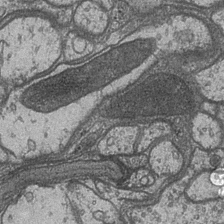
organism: Drosophila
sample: Optic medulla